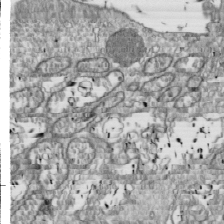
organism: Drosophila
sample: Cell division; meiosis; drosophila spermatocytes